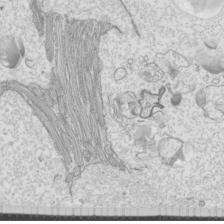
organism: Mouse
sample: Cilia; mouse epididymis